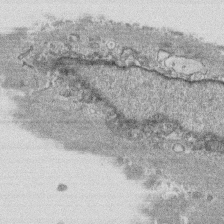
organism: Human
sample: CRL-1474